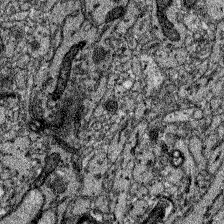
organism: Zebrafish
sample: Larval olfactory bulb